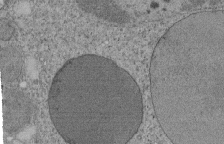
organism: Tetrahymena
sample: Cilia in tetrahymena